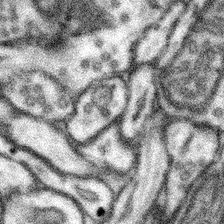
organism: Mouse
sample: Somatosensory cortex neuropil